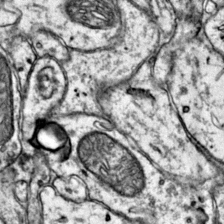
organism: Mouse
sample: Primary visual cortex